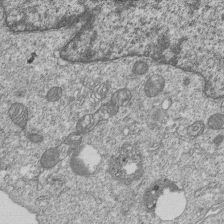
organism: Human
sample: MDA-MB-231 cells